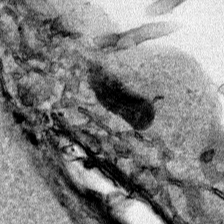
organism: Human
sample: Mitochondria in HCT116 cells